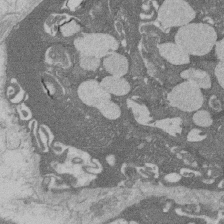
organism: Rat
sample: Salivary granule